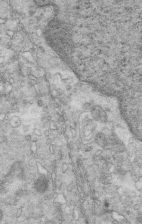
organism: Mouse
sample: Multiciliated cells